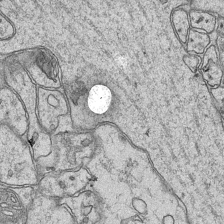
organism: Mouse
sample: CA1 Hippocampus